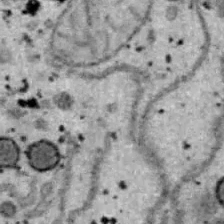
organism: Mouse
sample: Liver from an obese (ob/ob) mouse